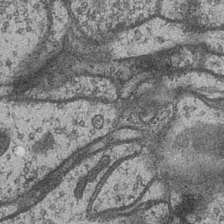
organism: Drosophila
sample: Optic medulla